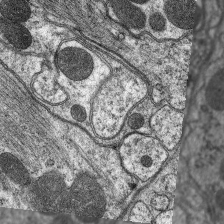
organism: C. elegans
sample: Pharynx